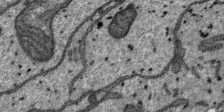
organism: Human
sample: Lung epithelial cells, uninfected (mock) control